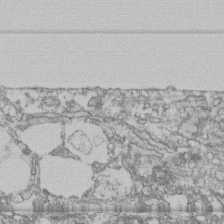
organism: Human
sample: Fibroblast cells